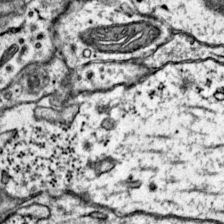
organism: Mouse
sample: Primary visual cortex